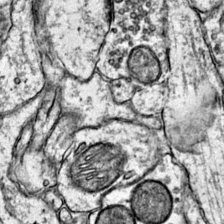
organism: Mouse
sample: Primary visual cortex